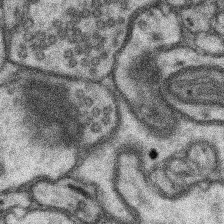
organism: Mouse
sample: Somatosensory cortex neuropil